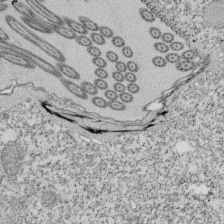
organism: Tetrahymena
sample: Cilia in tetrahymena